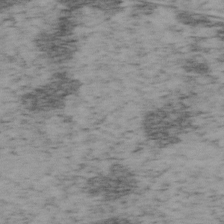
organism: Mouse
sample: OT-I killer T cells with ID8 ovarian cancer cells